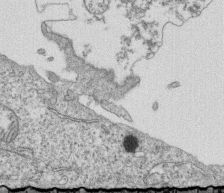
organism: Human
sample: HeLa cell HIV synapse